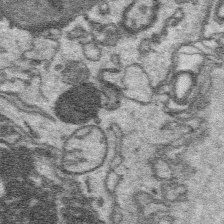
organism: Platynereis dumerilii